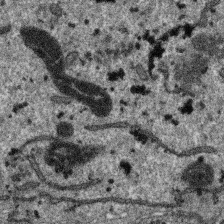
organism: Human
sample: Lung epithelial cells infected with SARS-CoV-2